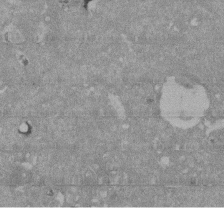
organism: Mouse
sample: ED-1 cell nuclei; centrioles